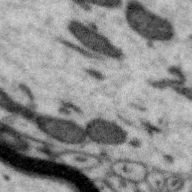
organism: Zebra finch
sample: Brain